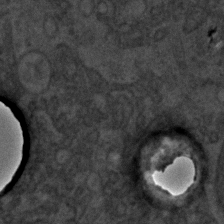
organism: C. elegans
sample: C. elegans embryo